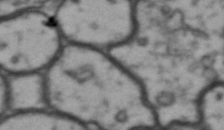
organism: Drosophila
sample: Brain